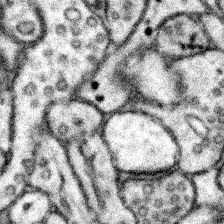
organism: Mouse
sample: Somatosensory cortex neuropil